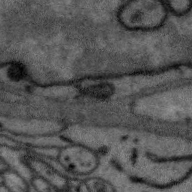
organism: Zebra finch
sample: Brain